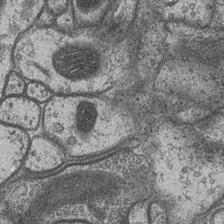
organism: Drosophila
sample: Optic medulla